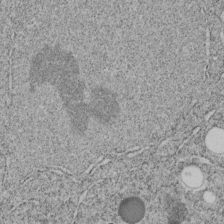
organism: C. elegans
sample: C. elegans embryo early stage